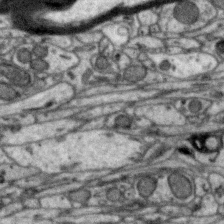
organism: Zebra finch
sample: Brain